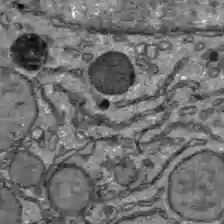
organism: C57BL Mouse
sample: Liver